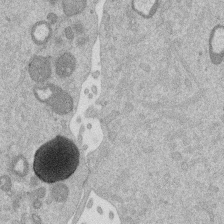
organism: Mouse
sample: Dividing mouse embryo 1 cell stage